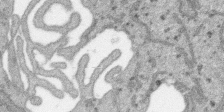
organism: Human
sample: Lung epithelial cells infected with SARS-CoV-2